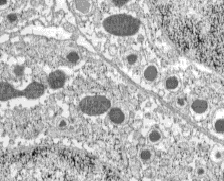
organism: C57BL Mouse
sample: Pancreatic islet